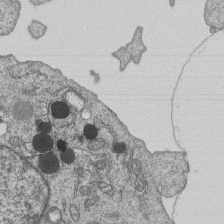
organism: Human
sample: MDA-MB-231 cells